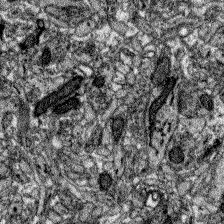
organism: Zebrafish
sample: Larval olfactory bulb